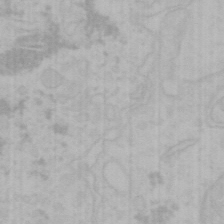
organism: Mouse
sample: Choroid plexus